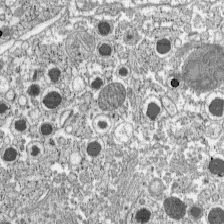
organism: C57BL Mouse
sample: Pancreatic islet